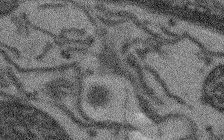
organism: Arabidopsis thaliana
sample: Root tip